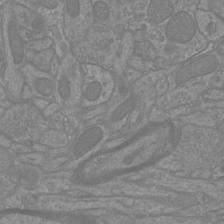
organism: Mouse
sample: Cortical neurons